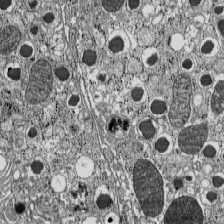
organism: C57BL Mouse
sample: Pancreatic islet